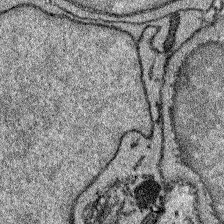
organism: Zebrafish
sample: Larval olfactory bulb